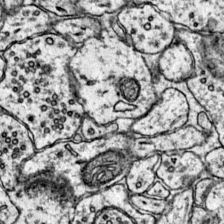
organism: Mouse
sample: Primary visual cortex